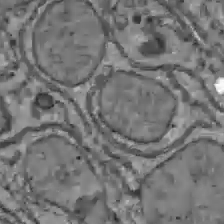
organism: C57BL Mouse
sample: Liver